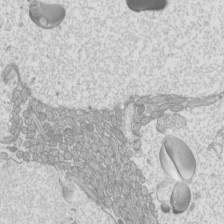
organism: Mouse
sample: Cilia; mouse epididymis